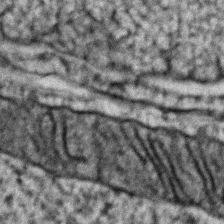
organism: Zebrafish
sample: Zebrafish embryo